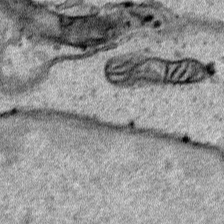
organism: Human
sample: Mitochondria in HCT116 cells